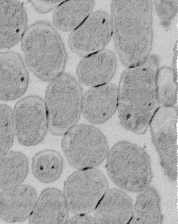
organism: E. coli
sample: Bacterial nucleoid